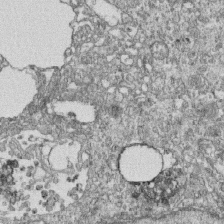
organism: Human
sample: HeLa cell HIV synapse